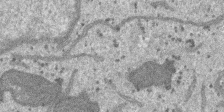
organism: Human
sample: Lung epithelial cells infected with SARS-CoV-2